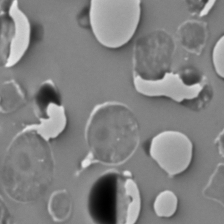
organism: C. elegans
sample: C. elegans embryo